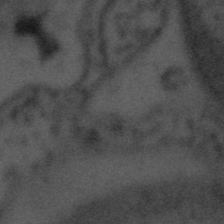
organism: Tuwongella immobilis